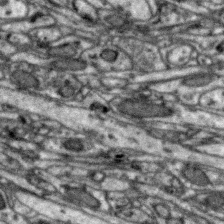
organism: Zebra finch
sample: Brain